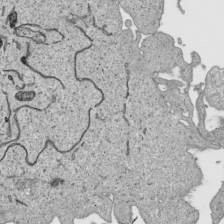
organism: Human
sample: Mitochondria in HCT116 cells